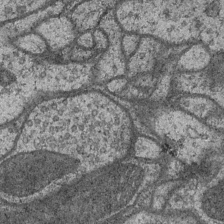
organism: Drosophila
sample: Optic medulla